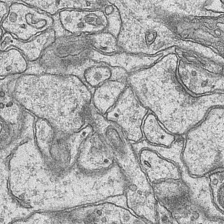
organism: Mouse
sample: CA1 Hippocampus